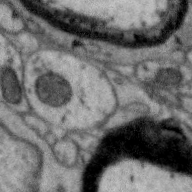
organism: Zebra finch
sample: Brain